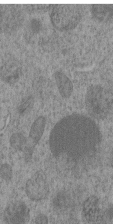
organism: C. elegans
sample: C. elegans embryo early stage